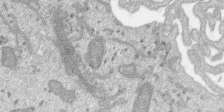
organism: Human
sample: Lung epithelial cells infected with SARS-CoV-2